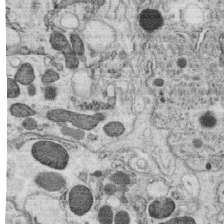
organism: C. elegans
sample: C. elegans oocyte; sperm cells